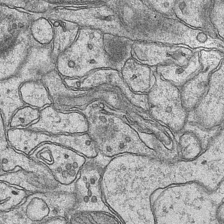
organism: Mouse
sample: CA1 Hippocampus